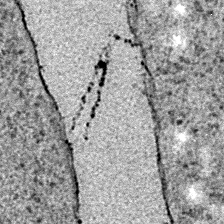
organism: E. coli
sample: E. Coli Bacteria